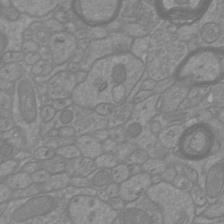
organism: Mouse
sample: Cortical neurons